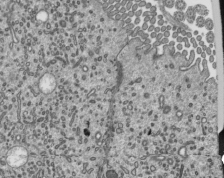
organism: Mouse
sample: Mouse epididymis efferent ductule cilia